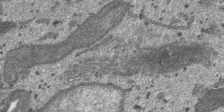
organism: Human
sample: Lung epithelial cells infected with SARS-CoV-2